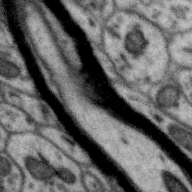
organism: Zebra finch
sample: Brain